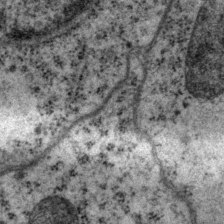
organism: P. pacificus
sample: Pharynx